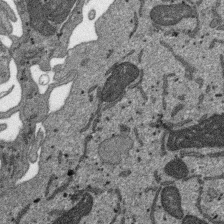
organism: Human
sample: Lung epithelial cells infected with SARS-CoV-2